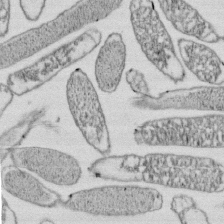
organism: E. coli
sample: Bacterial nucleoid